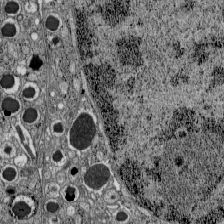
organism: C57BL Mouse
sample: Pancreatic islet